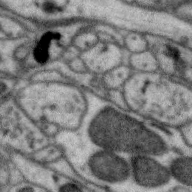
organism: Zebra finch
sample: Brain